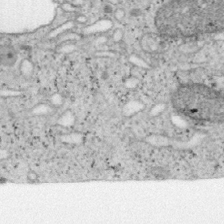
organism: Mouse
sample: OT-I killer T cells with ID8 ovarian cancer cells